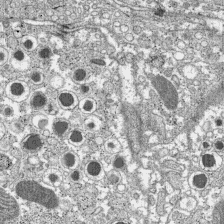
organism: C57BL Mouse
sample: Pancreatic islet